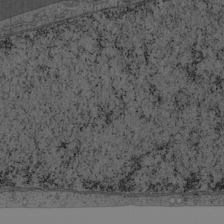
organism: African green monkey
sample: COS-7 cells